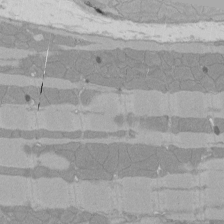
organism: Rat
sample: Left ventricle